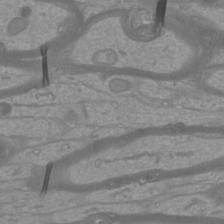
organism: Mouse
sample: Cortical neurons